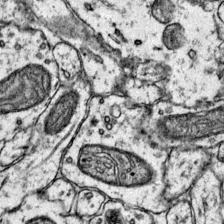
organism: Mouse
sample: Primary visual cortex